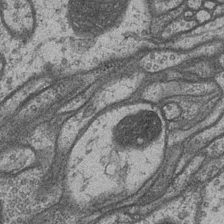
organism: Drosophila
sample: Optic medulla